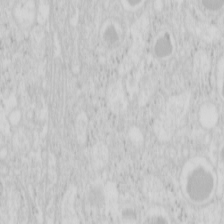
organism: Mouse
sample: Pancreas